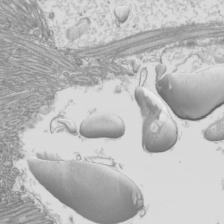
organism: Mouse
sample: Cilia; mouse epididymis